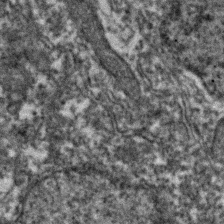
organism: Zebrafish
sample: Zebrafish embryo